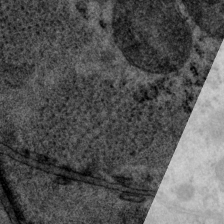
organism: P. pacificus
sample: Pharynx